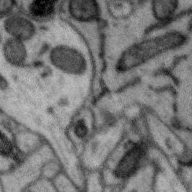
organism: Zebra finch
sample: Brain